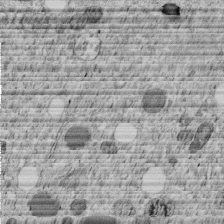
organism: C. elegans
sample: C. elegans embryo early stage